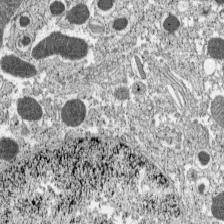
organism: C57BL Mouse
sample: Pancreatic islet